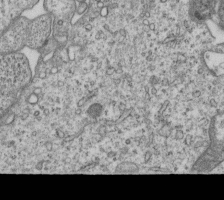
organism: Human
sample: MDA-MB-231 cells